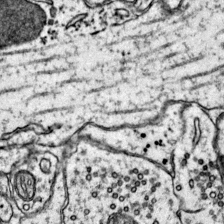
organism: Mouse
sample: Primary visual cortex